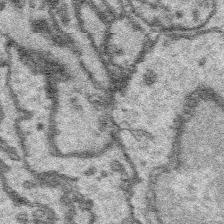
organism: Platynereis dumerilii